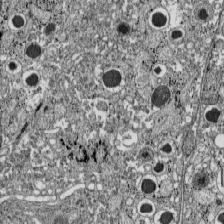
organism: C57BL Mouse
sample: Pancreatic islet